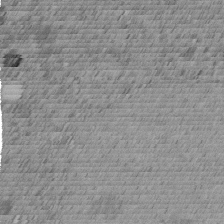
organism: C. elegans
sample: C. elegans embryo early stage